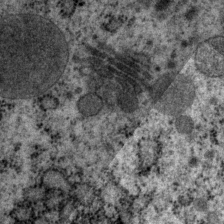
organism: P. pacificus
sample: Pharynx